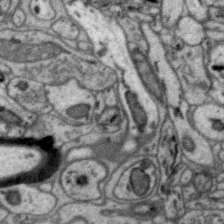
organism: Zebra finch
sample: Brain